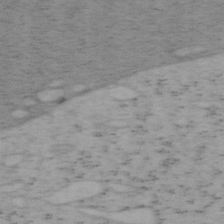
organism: Mouse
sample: OT-I killer T cells with ID8 ovarian cancer cells